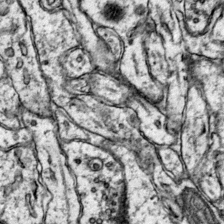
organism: Mouse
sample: Primary visual cortex